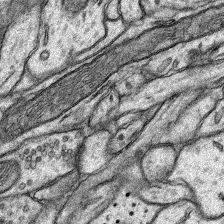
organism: Rat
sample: Hippocampus